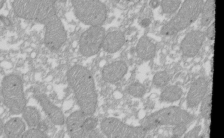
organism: Xenopus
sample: Cilia; centrioles in frog embryo cells